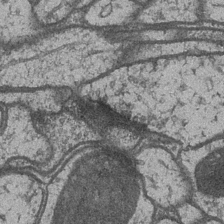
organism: Drosophila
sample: Optic medulla